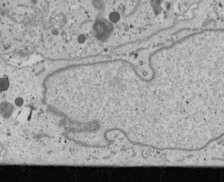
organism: Human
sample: Mitochondria in U2OS cells